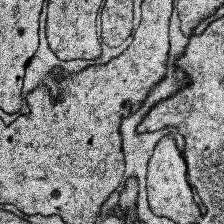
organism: Human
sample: Temporal Lobe